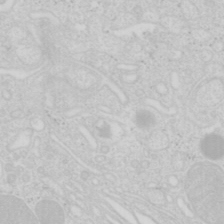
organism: Mouse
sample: Pancreas